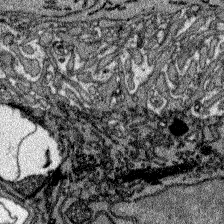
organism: Zebrafish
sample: Larval olfactory bulb